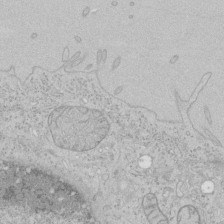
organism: Human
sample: Mitochondria in HCT116 cells